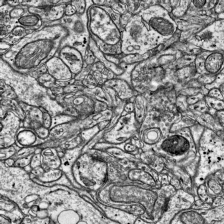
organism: Mouse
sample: Visual Cortex